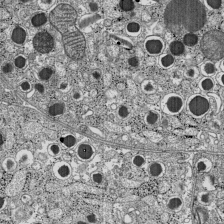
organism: C57BL Mouse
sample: Pancreatic islet